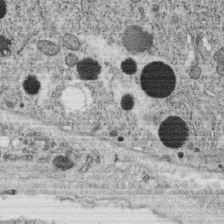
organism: C. elegans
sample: C. elegans oocyte; sperm cells